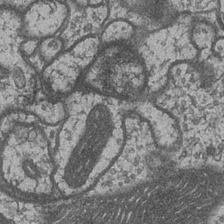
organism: Drosophila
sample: Optic medulla